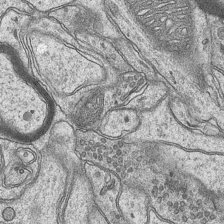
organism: Mouse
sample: CA1 Hippocampus